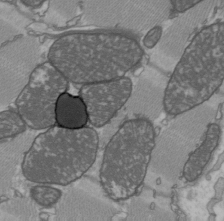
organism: C57BL Mouse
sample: Heart